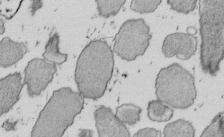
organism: E. coli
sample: Bacterial nucleoid